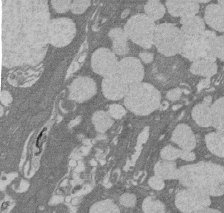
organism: Rat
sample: Salivary granule